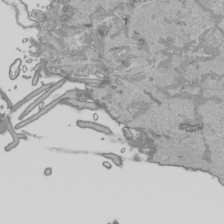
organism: Human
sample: Mitochondria in HCT116 cells